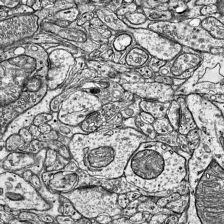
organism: Mouse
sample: Visual Cortex